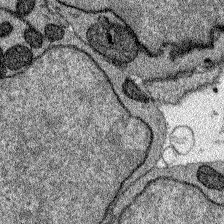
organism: Zebrafish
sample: Larval olfactory bulb